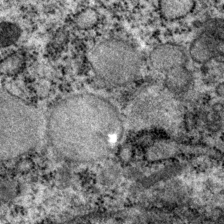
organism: P. pacificus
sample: Pharynx